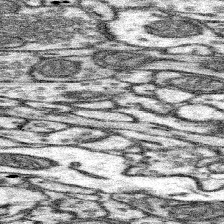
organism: Mouse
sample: Somatosensory cortex neuropil